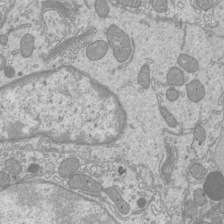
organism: Mouse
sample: Cilia; mouse epididymis